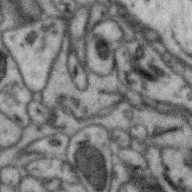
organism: Zebra finch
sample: Brain